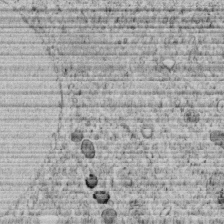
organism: C. elegans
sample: C. elegans embryo early stage